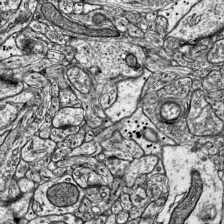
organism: Mouse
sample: Visual Cortex